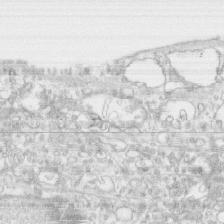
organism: Human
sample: CRL-1474